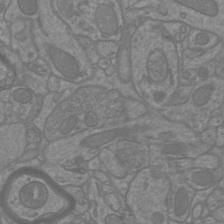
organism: Mouse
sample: Cortical neurons